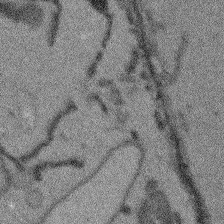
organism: Arabidopsis thaliana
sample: Root tip